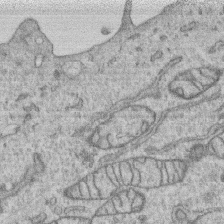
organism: Human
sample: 1205lu cells